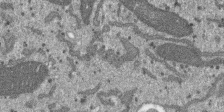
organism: Human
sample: Lung epithelial cells infected with SARS-CoV-2